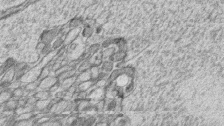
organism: Zebrafish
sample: synaptic ribbons in rod cells and cone cells